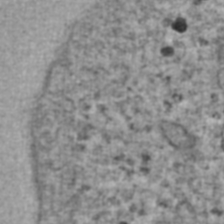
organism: Human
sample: Blood